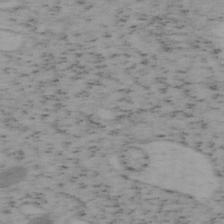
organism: Mouse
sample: OT-I killer T cells with ID8 ovarian cancer cells